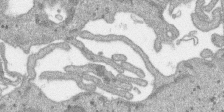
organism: Human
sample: Lung epithelial cells infected with SARS-CoV-2